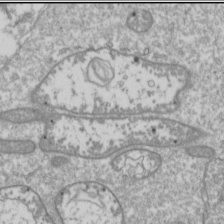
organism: Drosophila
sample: Cell division; meiosis; drosophila spermatocytes